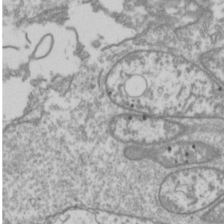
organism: Drosophila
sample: Cell division; meiosis; drosophila spermatocytes